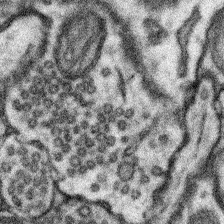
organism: Mouse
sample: Somatosensory cortex neuropil